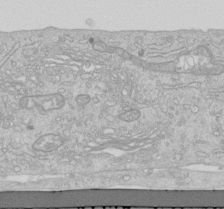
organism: Human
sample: Centriole in RPE cells